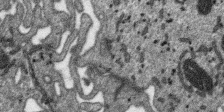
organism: Human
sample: Lung epithelial cells infected with SARS-CoV-2